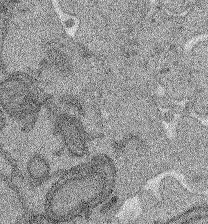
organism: Human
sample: HeLa cells